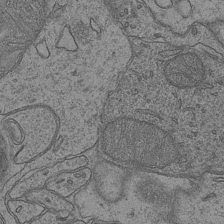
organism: Mouse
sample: CA1 Hippocampus